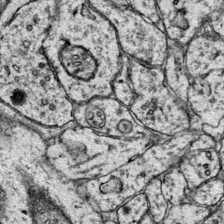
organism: Mouse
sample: Primary visual cortex